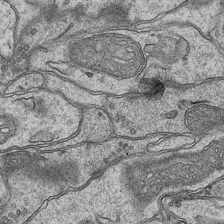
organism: Mouse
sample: CA1 Hippocampus